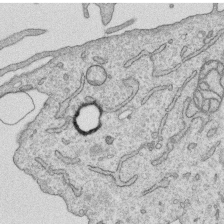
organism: Human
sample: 1205lu cells